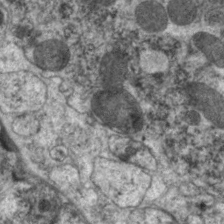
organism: C. elegans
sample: Pharynx